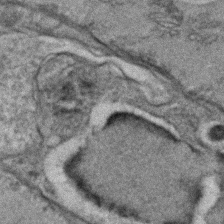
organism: C. elegans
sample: C. elegans embryo